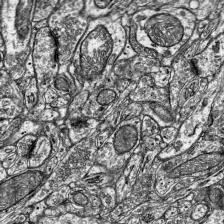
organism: Mouse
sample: Visual Cortex